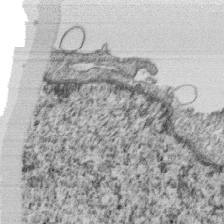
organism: African green monkey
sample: Vero E6 cells infected with SARS-CoV-2